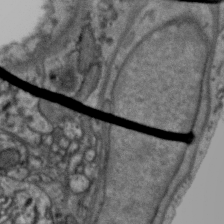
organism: Zebra finch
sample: Brain